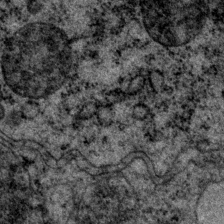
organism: P. pacificus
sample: Pharynx